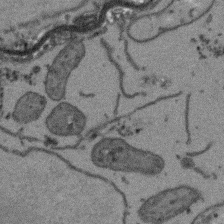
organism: Arabidopsis thaliana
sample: Root tip